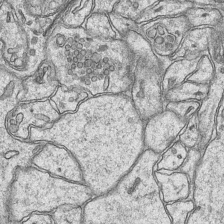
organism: Mouse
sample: CA1 Hippocampus